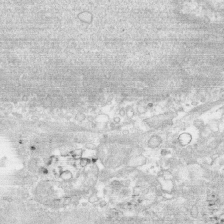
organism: Human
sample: CRL-1474